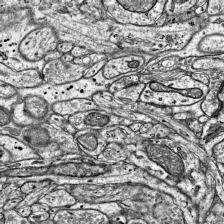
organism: Mouse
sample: Visual Cortex